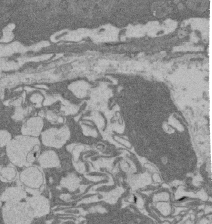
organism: Rat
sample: Salivary granule